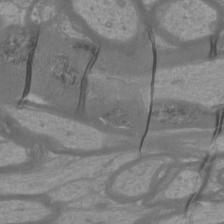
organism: Mouse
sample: Cortical neurons